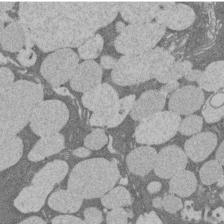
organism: Rat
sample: Salivary granule